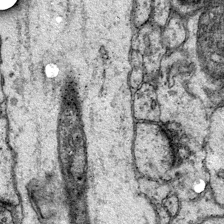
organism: Mouse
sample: Primary visual cortex